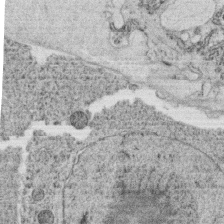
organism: C. elegans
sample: C. elegans oocyte; sperm cells